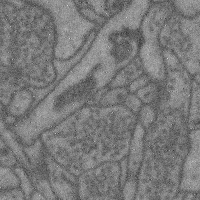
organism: Mouse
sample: Cerebral cortex